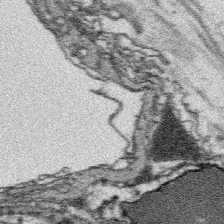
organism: Platynereis dumerilii